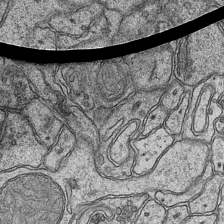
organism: Mouse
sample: CA1 Hippocampus